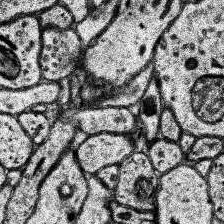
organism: Human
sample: Temporal Lobe